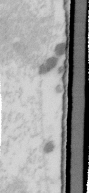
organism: Human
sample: U2-OS cells